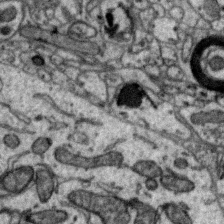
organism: Zebra finch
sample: Brain